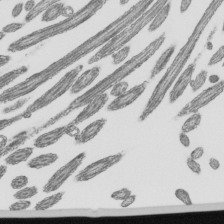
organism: Mouse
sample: Mouse epididymis efferent ductule cilia